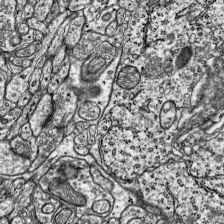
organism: Mouse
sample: Visual Cortex